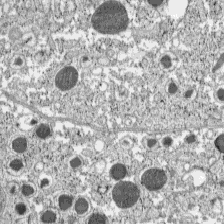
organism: C57BL Mouse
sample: Pancreatic islet